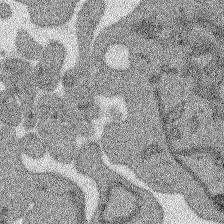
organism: Human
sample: HeLa cells